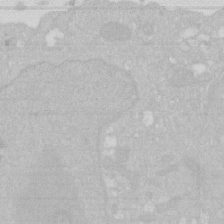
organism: Human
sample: HIV infected U937 cells